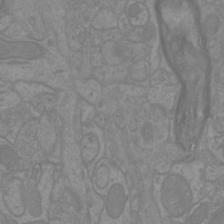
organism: Mouse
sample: Cortical neurons